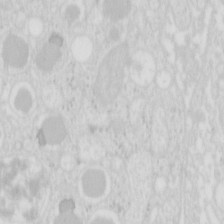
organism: Mouse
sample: Pancreas